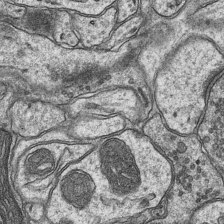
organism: Mouse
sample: CA1 Hippocampus